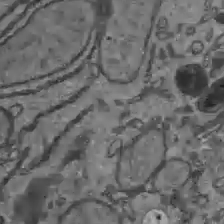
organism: C57BL Mouse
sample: Liver